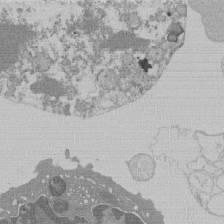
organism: Mouse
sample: Activated Pmel transgenic CD8+ T Cells